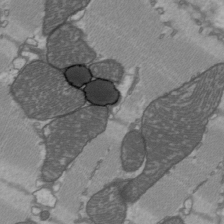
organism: C57BL Mouse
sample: Heart